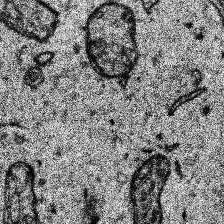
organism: Human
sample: Temporal Lobe